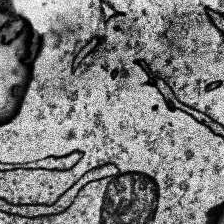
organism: Human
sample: Temporal Lobe